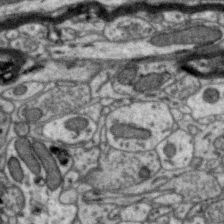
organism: Zebra finch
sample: Brain